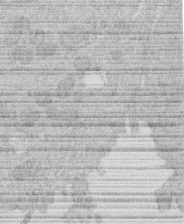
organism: Human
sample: Macrophage cells